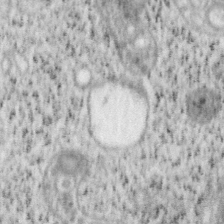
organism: Mouse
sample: OT-I killer T cells with ID8 ovarian cancer cells